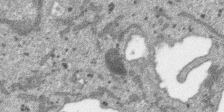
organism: Human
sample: Lung epithelial cells infected with SARS-CoV-2